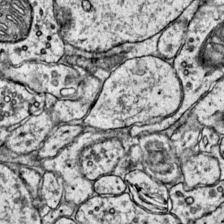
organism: Mouse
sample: Primary visual cortex